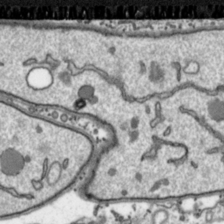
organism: Toxoplasma gondii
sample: Parasites in a vacuole inside a host cell